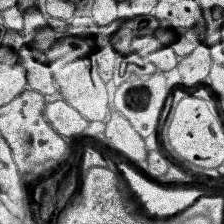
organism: Human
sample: Temporal Lobe